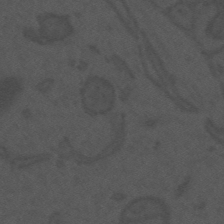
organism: Mouse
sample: Suprachiasmatic nucleus